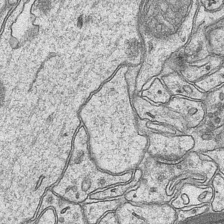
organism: Mouse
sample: CA1 Hippocampus